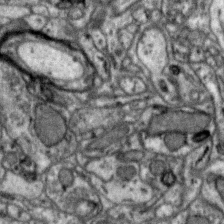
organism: Zebra finch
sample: Brain